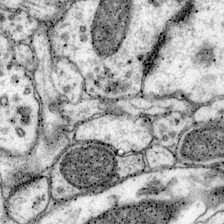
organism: Mouse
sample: Primary visual cortex